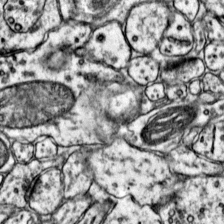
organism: Mouse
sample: Primary visual cortex